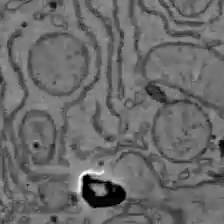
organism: C57BL Mouse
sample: Liver